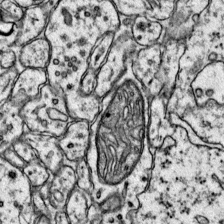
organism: Mouse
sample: Primary visual cortex